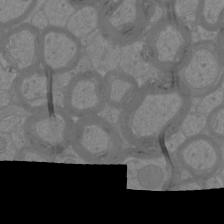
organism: Mouse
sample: Cortical neurons